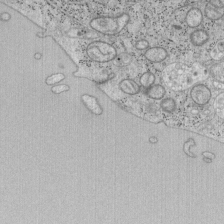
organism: Mouse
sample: OT-I killer T cells with ID8 ovarian cancer cells